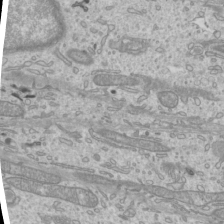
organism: Mouse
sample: Cilia; mouse epididymis